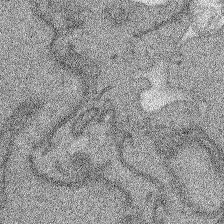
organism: Human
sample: HeLa cells